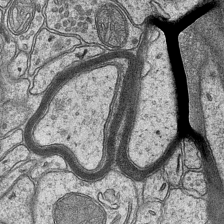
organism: Mouse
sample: CA1 Hippocampus